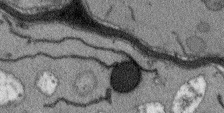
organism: Arabidopsis thaliana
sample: Root tip